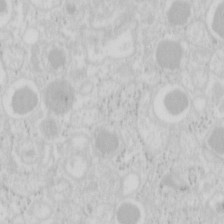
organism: Mouse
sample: Pancreas